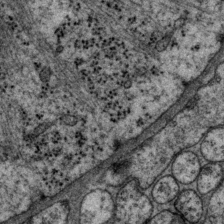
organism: P. pacificus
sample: Pharynx